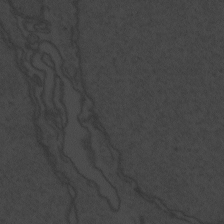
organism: Zebrafish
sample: Macrophage infected with Toxoplasma gondii